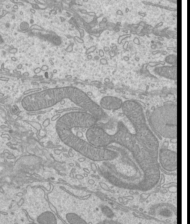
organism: Mouse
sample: Cilia; mouse epididymis